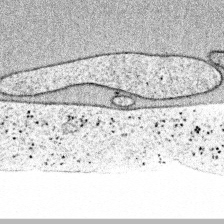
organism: Human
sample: HeLa cells